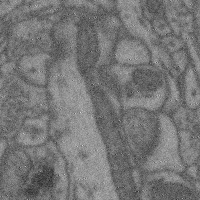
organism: Mouse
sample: Cerebral cortex